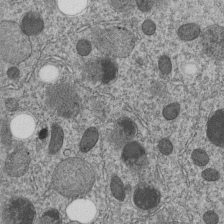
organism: C. elegans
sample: C. elegans embryo early stage